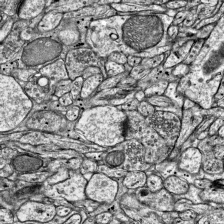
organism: Mouse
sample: Visual Cortex